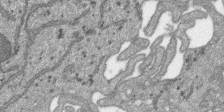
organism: Human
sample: Lung epithelial cells infected with SARS-CoV-2